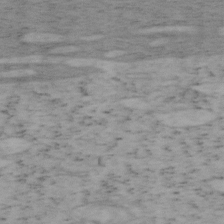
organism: Mouse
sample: OT-I killer T cells with ID8 ovarian cancer cells